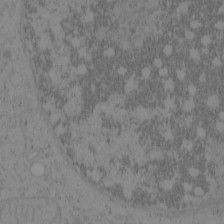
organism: Human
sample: HeLa cells